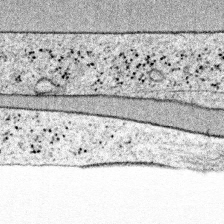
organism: Human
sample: HeLa cells